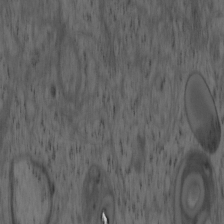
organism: Human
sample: HeLa cells